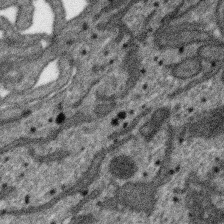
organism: Human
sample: Lung epithelial cells infected with SARS-CoV-2